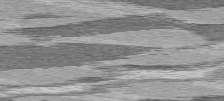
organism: C57BL Mouse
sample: Heart